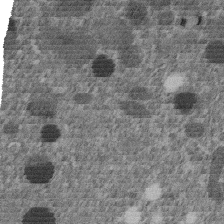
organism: C. elegans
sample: C. elegans embryo early stage